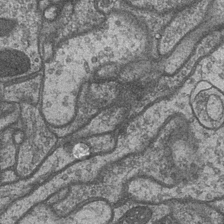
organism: Drosophila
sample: Optic medulla